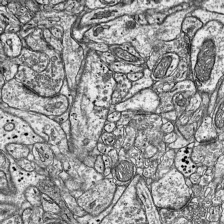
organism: Mouse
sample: Visual Cortex